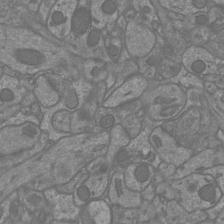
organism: Mouse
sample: Cortical neurons